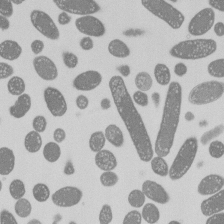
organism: E. coli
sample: Bacterial nucleoid